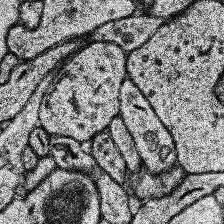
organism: Human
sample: Temporal Lobe